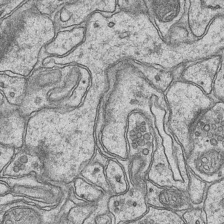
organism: Mouse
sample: CA1 Hippocampus